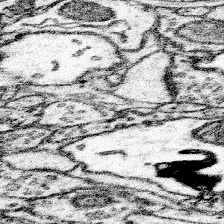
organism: Mouse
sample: Somatosensory cortex neuropil